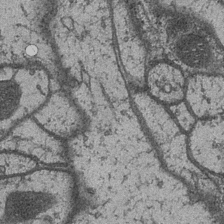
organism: Drosophila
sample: Optic medulla